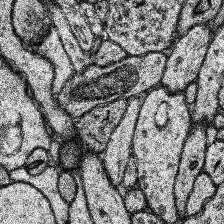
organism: Human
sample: Temporal Lobe